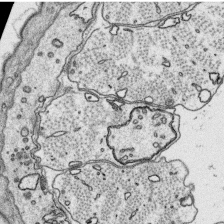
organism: Platynereis dumerilii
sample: Parapodia